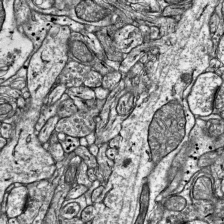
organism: Mouse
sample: Visual Cortex